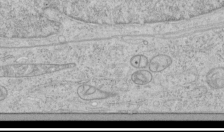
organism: Human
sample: Mitochondria in HCT116 cells